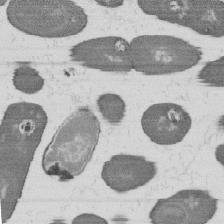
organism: B. subtilis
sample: Bacterial spore